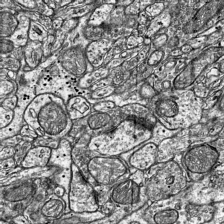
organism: Mouse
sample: Visual Cortex